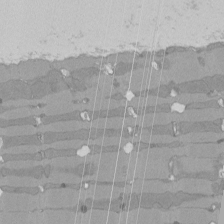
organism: Rat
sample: Left ventricle